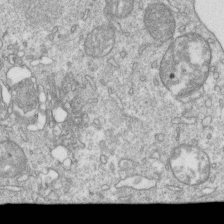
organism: Mouse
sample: Activated OT-1 CD8+ T cells